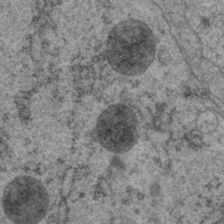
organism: P. pacificus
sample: Pharynx